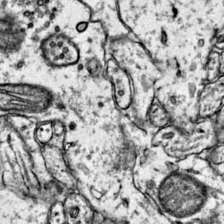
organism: Mouse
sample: Primary visual cortex